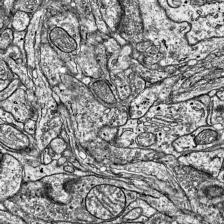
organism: Mouse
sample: Visual Cortex